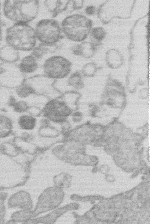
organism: Human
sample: Macrophage cells